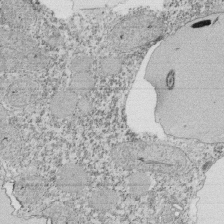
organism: Tetrahymena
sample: Cilia in tetrahymena